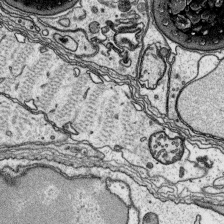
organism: Platynereis dumerilii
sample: Parapodia